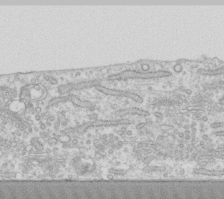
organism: Human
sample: Fibroblast cells